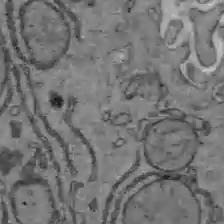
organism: C57BL Mouse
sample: Liver